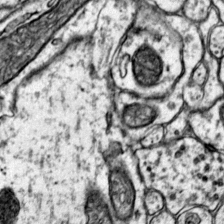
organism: Mouse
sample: Primary visual cortex